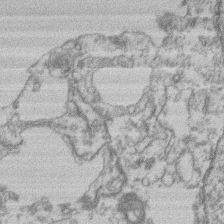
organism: Mouse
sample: T cell stromal cell synapse